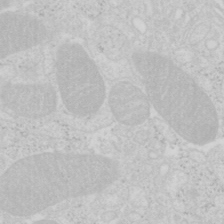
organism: Mouse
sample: Pancreas